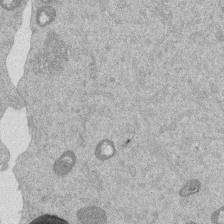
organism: Mouse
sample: Dividing mouse embryo 1 cell stage